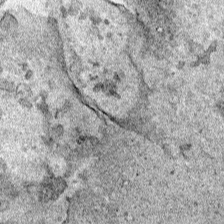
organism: Human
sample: Mitochondria in HCT116 cells